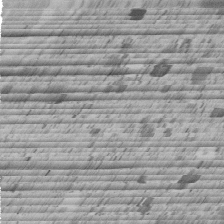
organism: C. elegans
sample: C. elegans embryo early stage